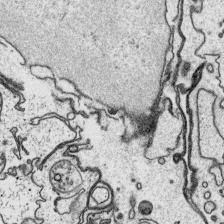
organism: Platynereis dumerilii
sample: Parapodia